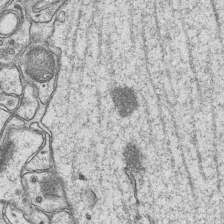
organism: Mouse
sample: CA1 Hippocampus